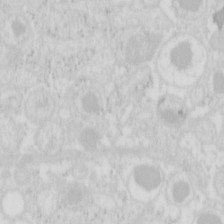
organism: Mouse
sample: Pancreas